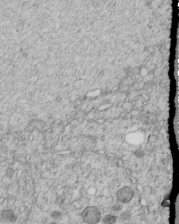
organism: C. elegans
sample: C. elegans embryo early stage